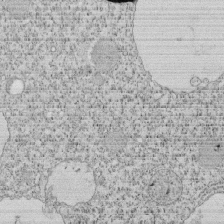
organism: Tetrahymena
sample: Cilia in tetrahymena